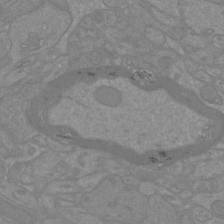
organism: Mouse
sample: Cortical neurons